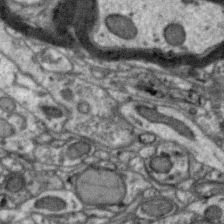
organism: Zebra finch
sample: Brain